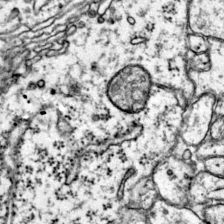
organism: Mouse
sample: Primary visual cortex